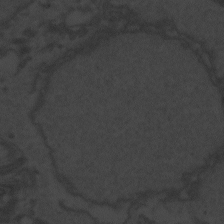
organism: Zebrafish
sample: Macrophage infected with Toxoplasma gondii